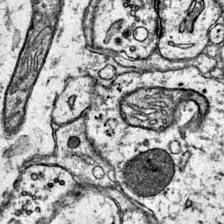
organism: Mouse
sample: Primary visual cortex